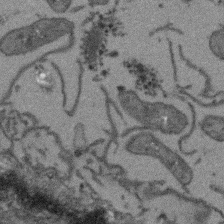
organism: Arabidopsis thaliana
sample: Root tip